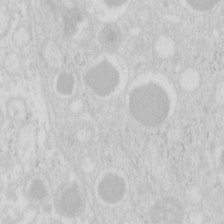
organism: Mouse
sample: Pancreas